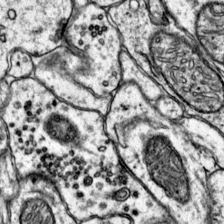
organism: Mouse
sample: Primary visual cortex